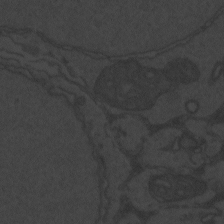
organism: Zebrafish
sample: Macrophage infected with Toxoplasma gondii